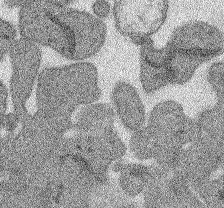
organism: Human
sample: HeLa cells